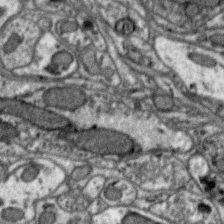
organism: Zebra finch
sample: Brain